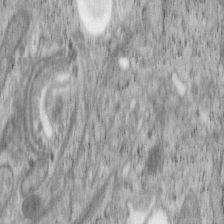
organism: Human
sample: HeLa cells